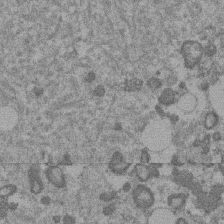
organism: Mouse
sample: Dividing mouse embryo 1 cell stage